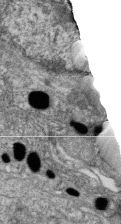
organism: Zebrafish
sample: Cilia; retinal pigment epithelium